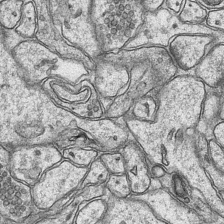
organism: Mouse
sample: CA1 Hippocampus